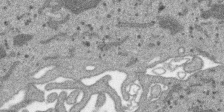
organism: Human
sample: Lung epithelial cells infected with SARS-CoV-2